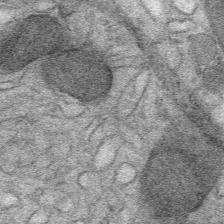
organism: Mouse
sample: Mouse Salivary gland